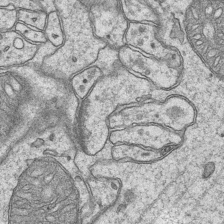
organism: Mouse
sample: CA1 Hippocampus